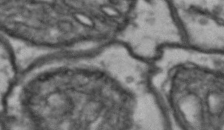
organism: Drosophila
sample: Brain